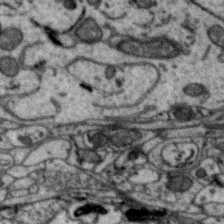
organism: Zebra finch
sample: Brain